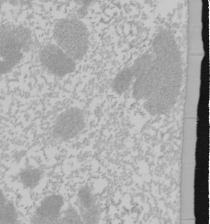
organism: Mouse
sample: Cancer cell death in ED-1 cells